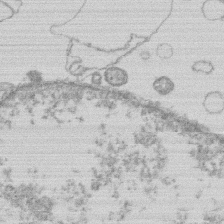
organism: Human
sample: Macrophage cells